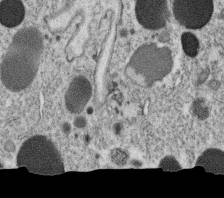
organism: C. elegans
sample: C. elegans oocyte; sperm cells